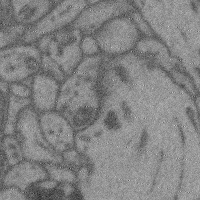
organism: Mouse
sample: Cerebral cortex